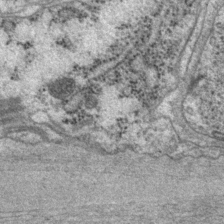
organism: P. pacificus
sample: Pharynx